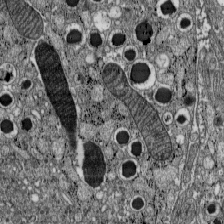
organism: C57BL Mouse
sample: Pancreatic islet